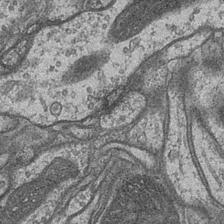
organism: Drosophila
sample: Optic medulla